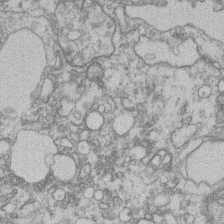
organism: Mouse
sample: T cell stromal cell synapse